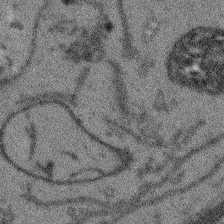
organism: Arabidopsis thaliana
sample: Root tip